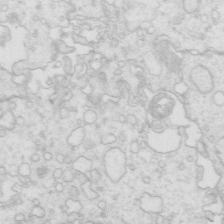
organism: Mouse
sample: Multiciliated cells